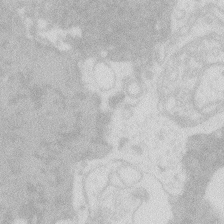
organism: Zebrafish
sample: Macrophage